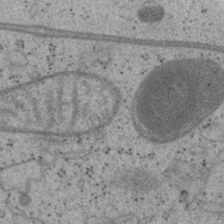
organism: Human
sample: HeLa cells